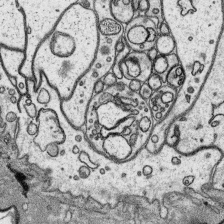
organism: Platynereis dumerilii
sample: Parapodia